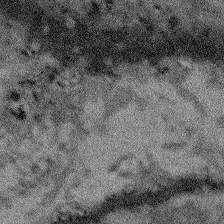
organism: Arabidopsis thaliana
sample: Root tip